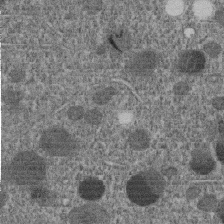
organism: C. elegans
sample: C. elegans embryo early stage